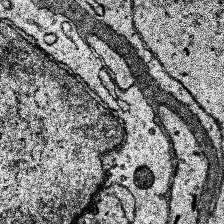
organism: Human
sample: Temporal Lobe